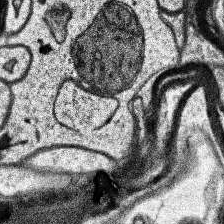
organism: Human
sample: Temporal Lobe